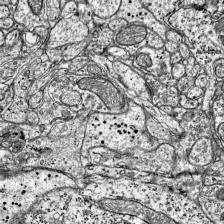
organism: Mouse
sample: Visual Cortex